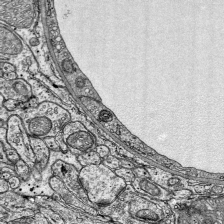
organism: Mouse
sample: Visual Cortex